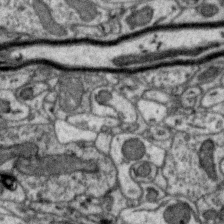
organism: Zebra finch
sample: Brain